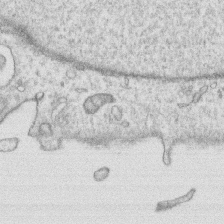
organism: Human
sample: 1205lu cells